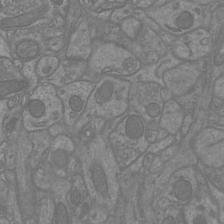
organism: Mouse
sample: Cortical neurons